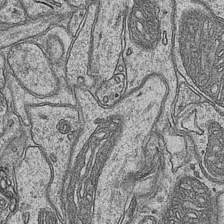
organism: Mouse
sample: CA1 Hippocampus